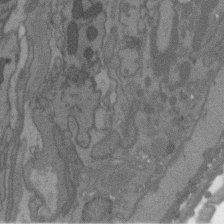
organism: C. elegans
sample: AFD neurons C. elegans